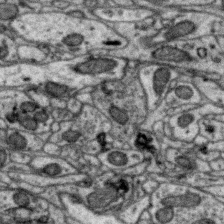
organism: Zebra finch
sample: Brain